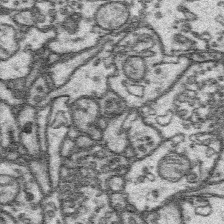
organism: Platynereis dumerilii